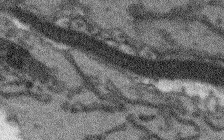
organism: Arabidopsis thaliana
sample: Root tip